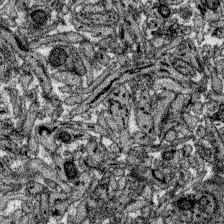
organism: Zebrafish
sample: Larval olfactory bulb